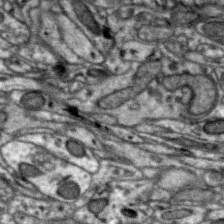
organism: Zebra finch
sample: Brain